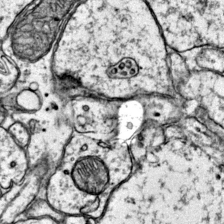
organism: Mouse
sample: Primary visual cortex